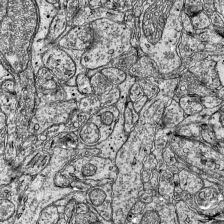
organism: Mouse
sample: Visual Cortex